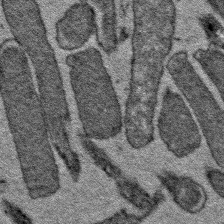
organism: E. coli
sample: E. Coli Bacteria